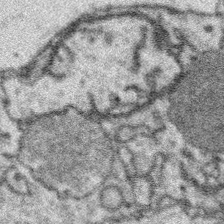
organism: Platynereis dumerilii